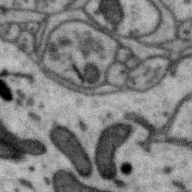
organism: Zebra finch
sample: Brain